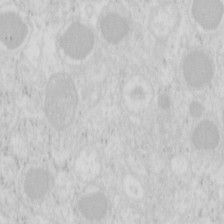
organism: Mouse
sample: Pancreas